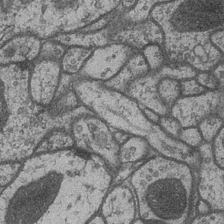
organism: Drosophila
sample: Optic medulla